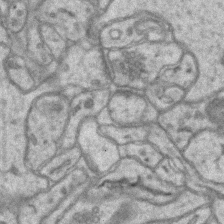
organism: Mouse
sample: CA1 Hippocampus